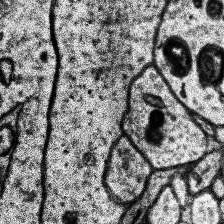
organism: Human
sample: Temporal Lobe